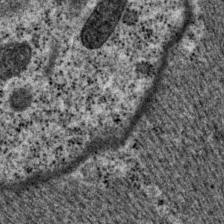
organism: P. pacificus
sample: Pharynx